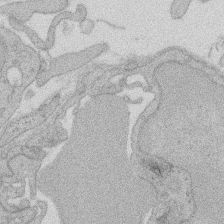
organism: Rat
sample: Salivary granule